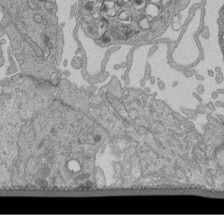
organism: Human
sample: Retinal organoid Rod and Cone cells